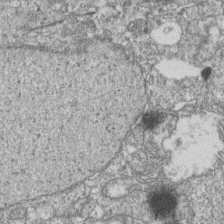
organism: Human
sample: HeLa cell HIV synapse